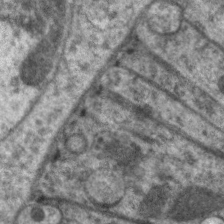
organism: C. elegans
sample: Pharynx